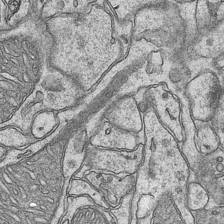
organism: Mouse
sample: CA1 Hippocampus